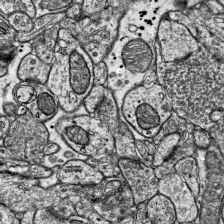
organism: Mouse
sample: Visual Cortex